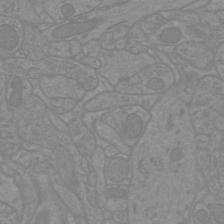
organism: Mouse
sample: Cortical neurons